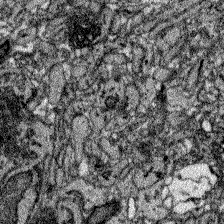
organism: Zebrafish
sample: Larval olfactory bulb